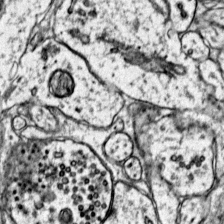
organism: Mouse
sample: Primary visual cortex